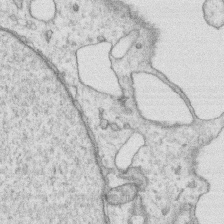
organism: Human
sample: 1205lu cells